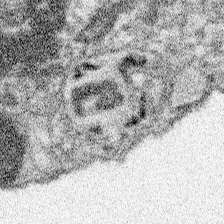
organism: Spongilla lacustris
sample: Neuroid cell